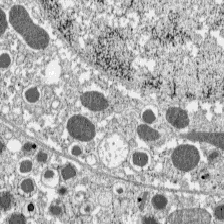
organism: C57BL Mouse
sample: Pancreatic islet